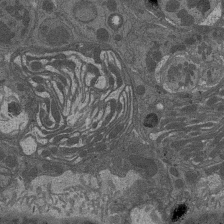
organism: Drosophila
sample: Antenna